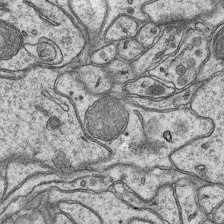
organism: Mouse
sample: CA1 Hippocampus